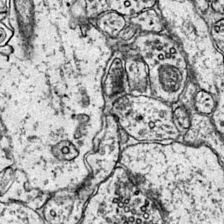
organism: Mouse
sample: Primary visual cortex